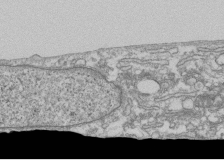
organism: Human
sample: Fibroblast cells